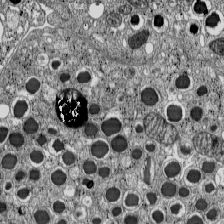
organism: C57BL Mouse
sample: Pancreatic islet